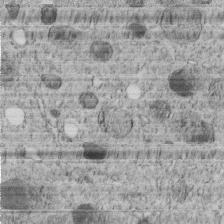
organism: C. elegans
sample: C. elegans embryo early stage